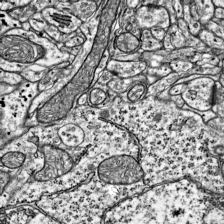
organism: Mouse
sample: Visual Cortex